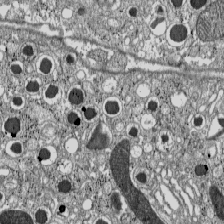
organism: C57BL Mouse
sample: Pancreatic islet